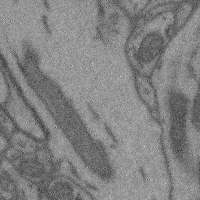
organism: Mouse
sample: Cerebral cortex